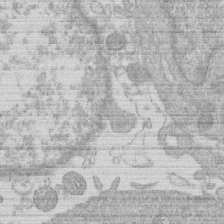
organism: Human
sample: Macrophage cells